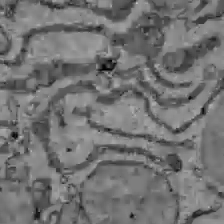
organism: C57BL Mouse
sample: Liver